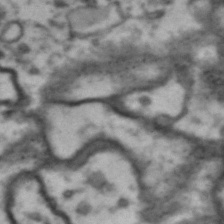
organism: Drosophila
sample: Brain